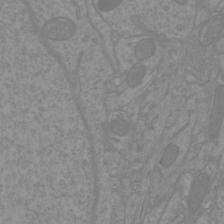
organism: Mouse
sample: Cortical neurons